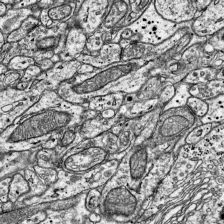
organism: Mouse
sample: Visual Cortex